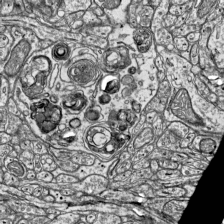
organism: Mouse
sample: Visual Cortex